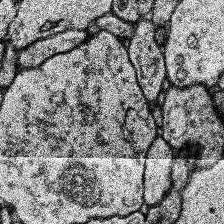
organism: Human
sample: Temporal Lobe